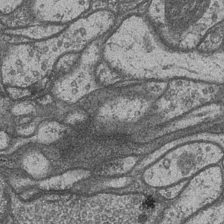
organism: Drosophila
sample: Optic medulla